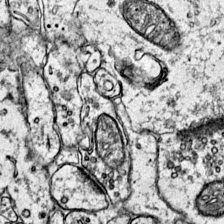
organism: Mouse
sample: Primary visual cortex